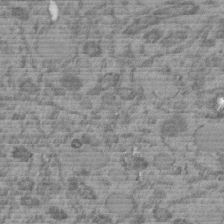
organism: C. elegans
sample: C. elegans embryo early stage